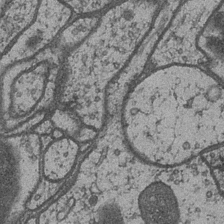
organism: Drosophila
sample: Optic medulla